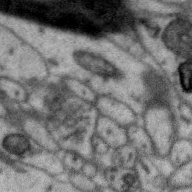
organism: Zebra finch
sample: Brain